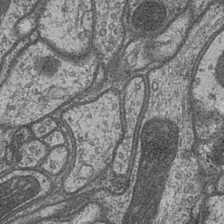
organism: Drosophila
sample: Optic medulla